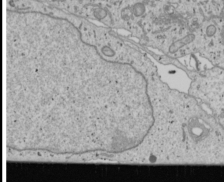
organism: Human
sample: Mitochondria in U2OS cells